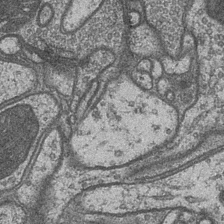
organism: Drosophila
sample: Optic medulla